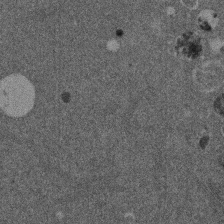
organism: Mouse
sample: Dividing mouse embryo 1 cell stage